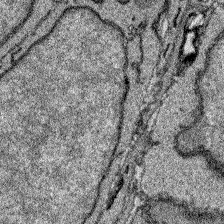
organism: Zebrafish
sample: Larval olfactory bulb